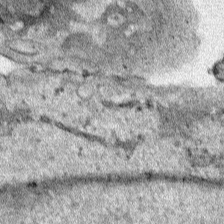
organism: Human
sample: Mitochondria in HCT116 cells